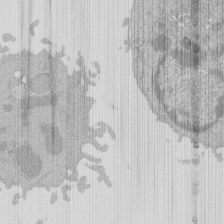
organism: Mouse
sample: Activated Pmel transgenic CD8+ T Cells